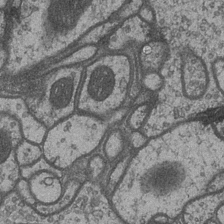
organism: Drosophila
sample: Optic medulla